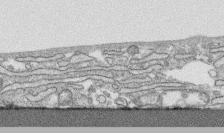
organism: Human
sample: CRL-1474